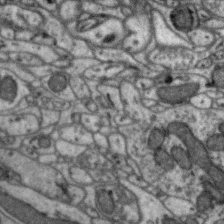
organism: Zebra finch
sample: Brain